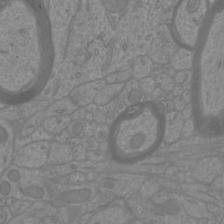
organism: Mouse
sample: Cortical neurons